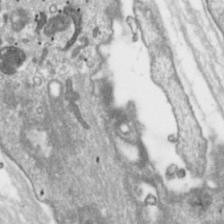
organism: Toxoplasma gondii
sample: Parasites in a vacuole inside a host cell